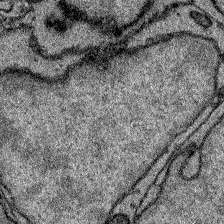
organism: Zebrafish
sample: Larval olfactory bulb